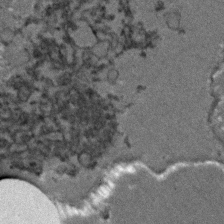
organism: Zebrafish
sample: Zebrafish embryo